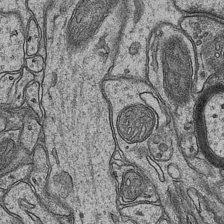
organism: Mouse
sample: CA1 Hippocampus